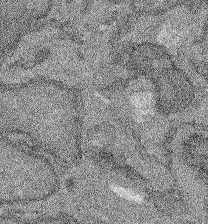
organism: Human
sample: HeLa cells